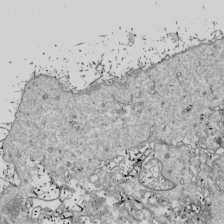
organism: Drosophila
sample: Cell division; meiosis; drosophila spermatocytes